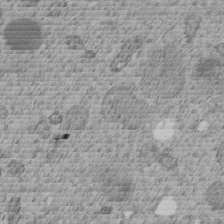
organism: C. elegans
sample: C. elegans embryo early stage